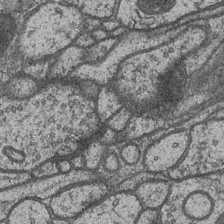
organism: Drosophila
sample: Optic medulla